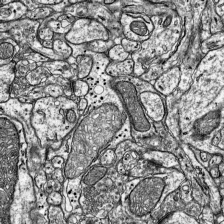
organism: Mouse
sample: Visual Cortex